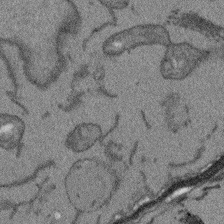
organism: Arabidopsis thaliana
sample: Root tip